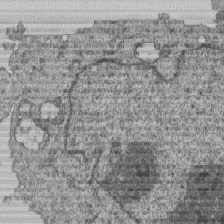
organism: Human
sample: MDA-MB-231 cells